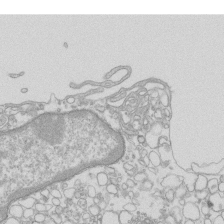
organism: Mouse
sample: Macrophages